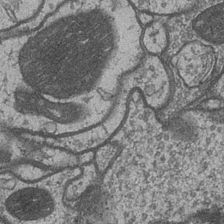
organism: Drosophila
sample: Optic medulla